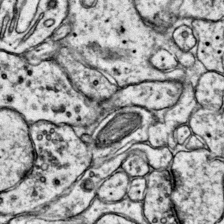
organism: Mouse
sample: Primary visual cortex